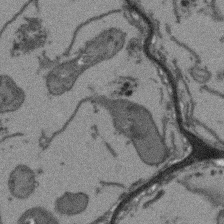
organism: Arabidopsis thaliana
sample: Root tip